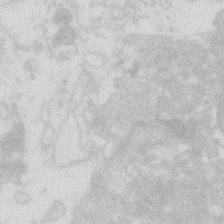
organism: Zebrafish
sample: Macrophage